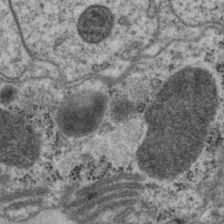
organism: P. pacificus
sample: Pharynx